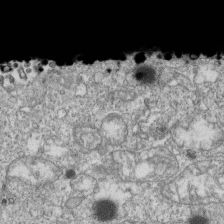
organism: Human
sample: HeLa cell HIV synapse